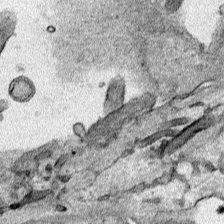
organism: Human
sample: Mitochondria in HCT116 cells